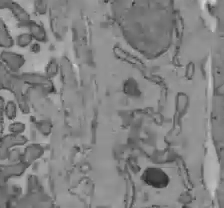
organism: C57BL Mouse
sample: Liver